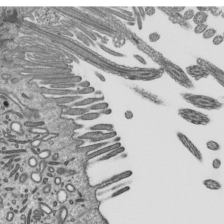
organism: Mouse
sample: Mouse epididymis efferent ductule cilia